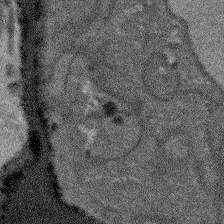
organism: Arabidopsis thaliana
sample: Root tip